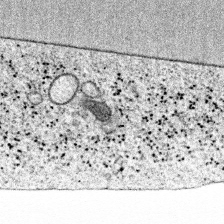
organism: Human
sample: HeLa cells